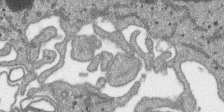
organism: Human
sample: Lung epithelial cells infected with SARS-CoV-2